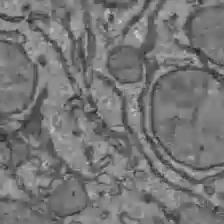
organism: C57BL Mouse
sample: Liver